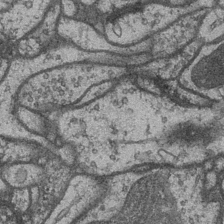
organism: Drosophila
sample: Optic medulla